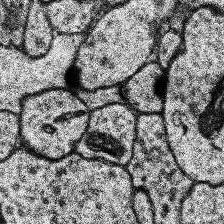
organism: Human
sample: Temporal Lobe